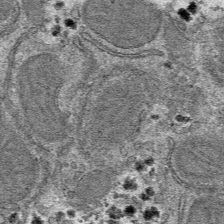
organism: Mouse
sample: Mouse hepatocytes